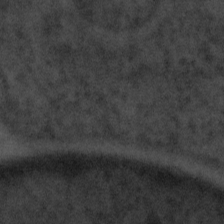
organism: Tuwongella immobilis